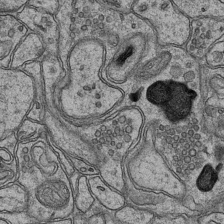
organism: Mouse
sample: CA1 Hippocampus